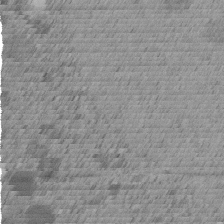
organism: C. elegans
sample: C. elegans embryo early stage